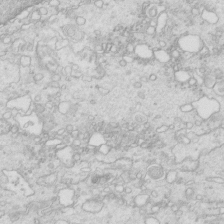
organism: Mouse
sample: Multiciliated cells